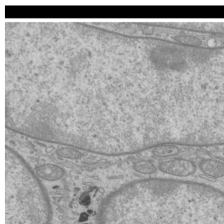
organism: Mouse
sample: Cilia; mouse epididymis